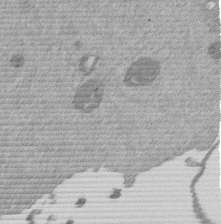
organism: Mouse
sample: Dividing mouse embryo 1 cell stage